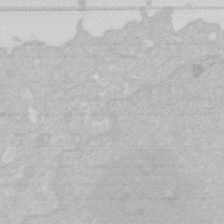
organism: Human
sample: HIV infected U937 cells